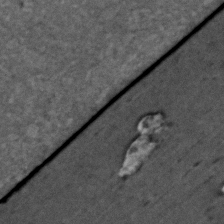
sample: Trachea